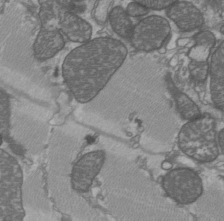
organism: C57BL Mouse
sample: Heart